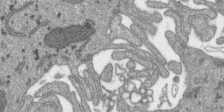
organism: Human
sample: Lung epithelial cells infected with SARS-CoV-2